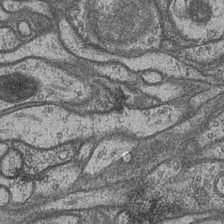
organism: Drosophila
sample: Optic medulla